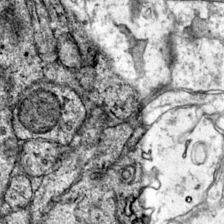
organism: Mouse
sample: Primary visual cortex